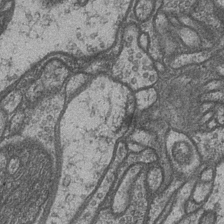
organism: Drosophila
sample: Optic medulla